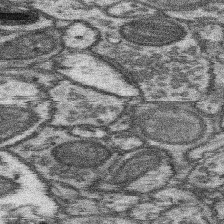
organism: Mouse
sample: Somatosensory cortex neuropil